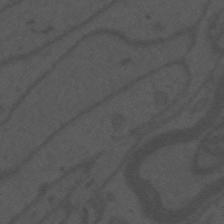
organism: Mouse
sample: Suprachiasmatic nucleus